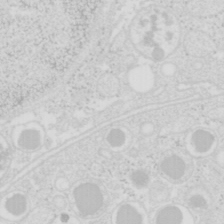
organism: Mouse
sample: Pancreas